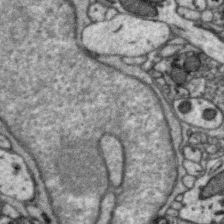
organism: Zebra finch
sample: Brain